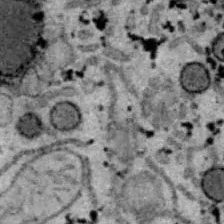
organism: Mouse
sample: Liver from an obese (ob/ob) mouse